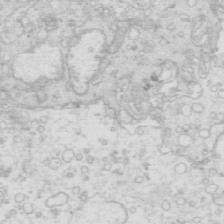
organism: Mouse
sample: Multiciliated cells